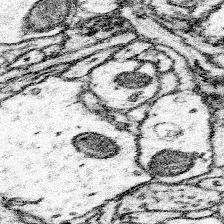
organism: Mouse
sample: Somatosensory cortex neuropil